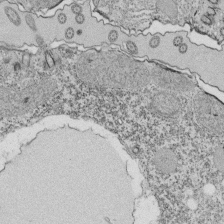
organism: Tetrahymena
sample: Cilia in tetrahymena